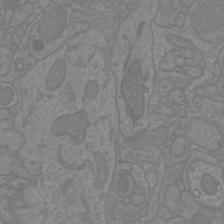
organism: Mouse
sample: Cortical neurons